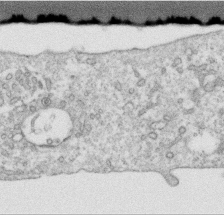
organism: Human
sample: Centriole in RPE cells